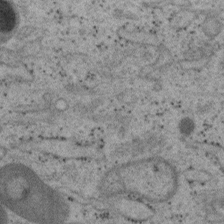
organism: Human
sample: HeLa cells